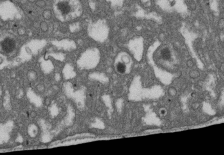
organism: Drosophila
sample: Nephrocyte